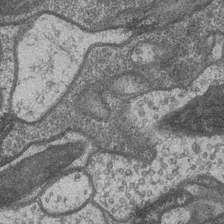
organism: Drosophila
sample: Optic medulla